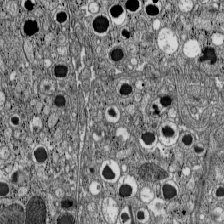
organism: C57BL Mouse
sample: Pancreatic islet